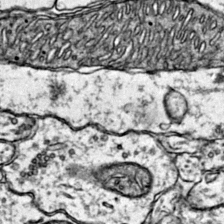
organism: Mouse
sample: Primary visual cortex